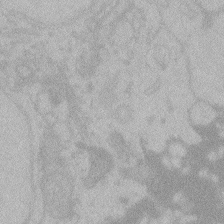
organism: Zebrafish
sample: Macrophage infected with Toxoplasma gondii